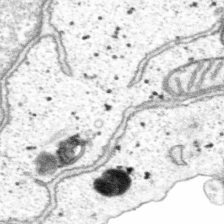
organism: Human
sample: HeLa cells